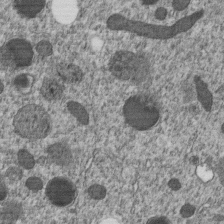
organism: C. elegans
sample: C. elegans embryo early stage